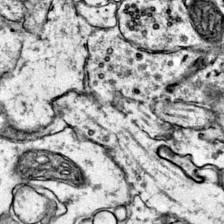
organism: Mouse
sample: Primary visual cortex